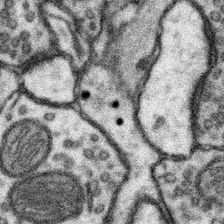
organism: Mouse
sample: Somatosensory cortex neuropil